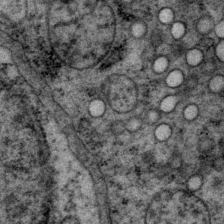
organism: P. pacificus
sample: Pharynx